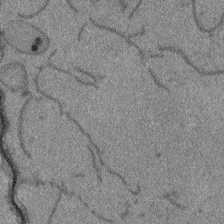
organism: Arabidopsis thaliana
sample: Root tip